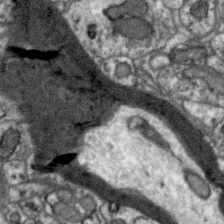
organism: Zebra finch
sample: Brain